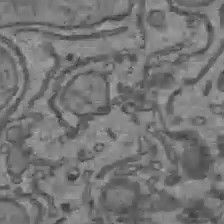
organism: C57BL Mouse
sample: Liver